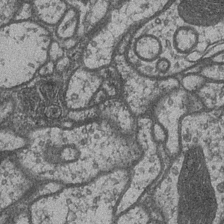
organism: Drosophila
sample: Optic medulla